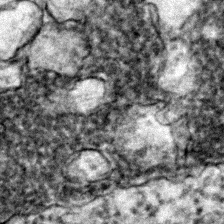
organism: Zebrafish